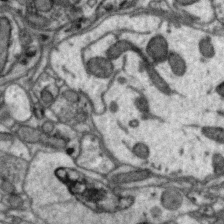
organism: Zebra finch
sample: Brain